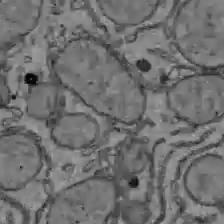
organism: C57BL Mouse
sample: Liver